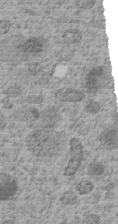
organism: C. elegans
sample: C. elegans embryo early stage